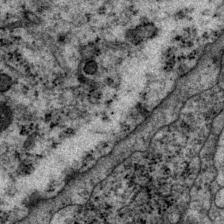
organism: P. pacificus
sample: Pharynx